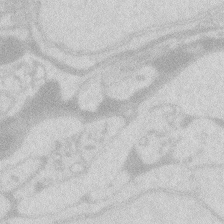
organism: Zebrafish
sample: Macrophage